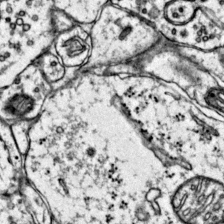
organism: Mouse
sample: Primary visual cortex